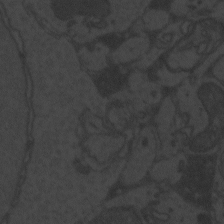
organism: Zebrafish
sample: Macrophage infected with Toxoplasma gondii